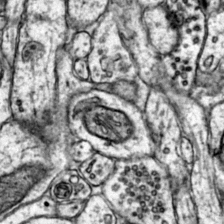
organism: Mouse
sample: Primary visual cortex